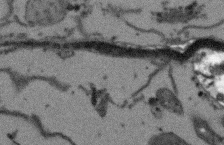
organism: Arabidopsis thaliana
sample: Root tip